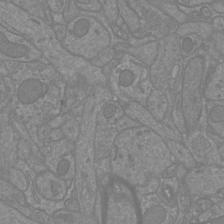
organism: Mouse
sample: Cortical neurons